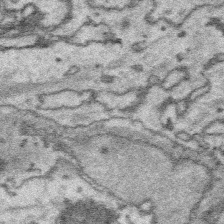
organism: Platynereis dumerilii